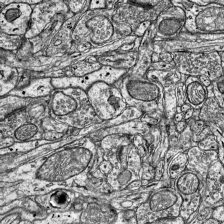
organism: Mouse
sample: Visual Cortex